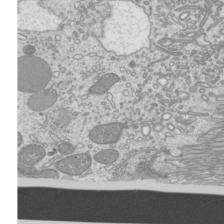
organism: Mouse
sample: Cilia; mouse epididymis